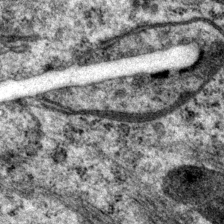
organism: P. pacificus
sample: Pharynx